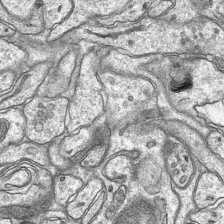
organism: Mouse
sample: CA1 Hippocampus